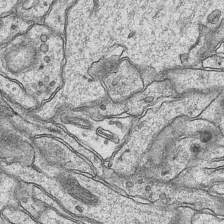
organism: Mouse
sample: CA1 Hippocampus